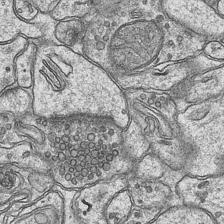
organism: Mouse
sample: CA1 Hippocampus